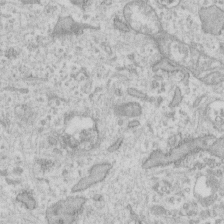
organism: Human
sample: Fibroblast cells